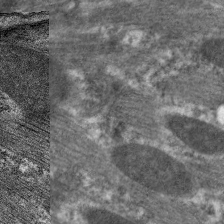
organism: C. elegans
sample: Pharynx